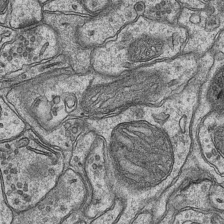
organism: Mouse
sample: CA1 Hippocampus